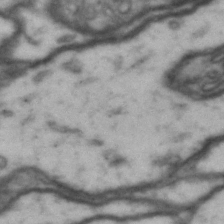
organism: Drosophila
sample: Brain